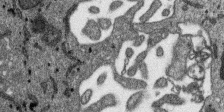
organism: Human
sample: Lung epithelial cells infected with SARS-CoV-2